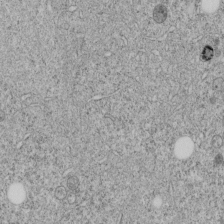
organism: C. elegans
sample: C. elegans embryo early stage